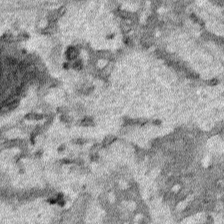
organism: Human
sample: Mitochondria in HCT116 cells